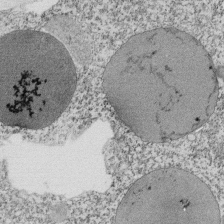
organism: Tetrahymena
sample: Cilia in tetrahymena